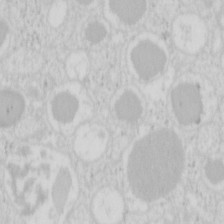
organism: Mouse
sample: Pancreas